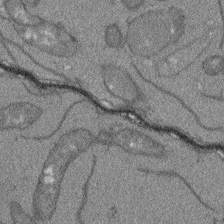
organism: Arabidopsis thaliana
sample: Root tip